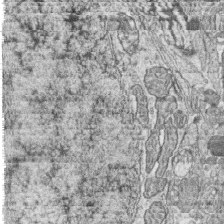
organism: Zebrafish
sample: synaptic ribbons in rod cells and cone cells